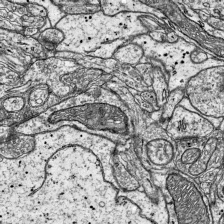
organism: Mouse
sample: Visual Cortex